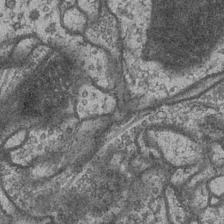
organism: Drosophila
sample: Optic medulla